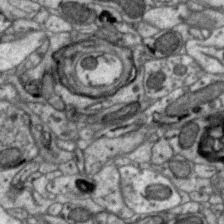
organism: Zebra finch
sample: Brain